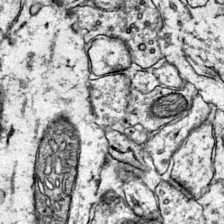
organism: Mouse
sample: Primary visual cortex